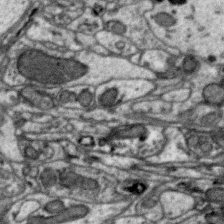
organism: Zebra finch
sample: Brain